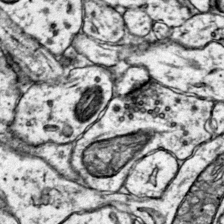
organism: Mouse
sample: Primary visual cortex